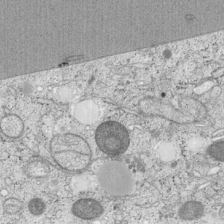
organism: African green monkey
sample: COS-7 cells